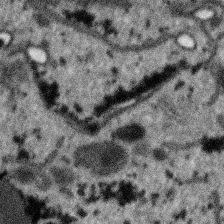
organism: Human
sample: Lung epithelial cells infected with SARS-CoV-2